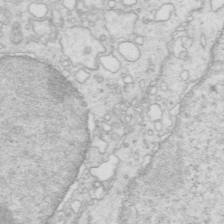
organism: Mouse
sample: Multiciliated cells